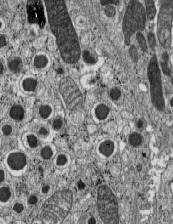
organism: C57BL Mouse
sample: Pancreatic islet